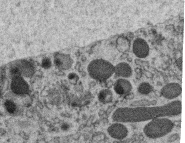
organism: C. elegans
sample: C. elegans oocyte; sperm cells